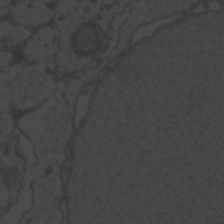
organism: Zebrafish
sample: Macrophage infected with Toxoplasma gondii